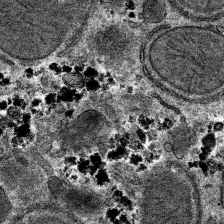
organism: Mouse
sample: Mouse hepatocytes